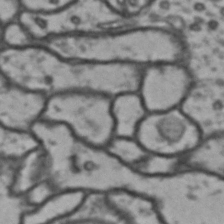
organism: Drosophila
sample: Brain